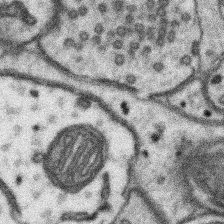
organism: Mouse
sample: Somatosensory cortex neuropil